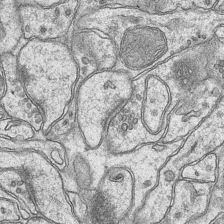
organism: Mouse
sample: CA1 Hippocampus